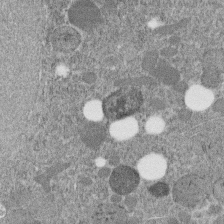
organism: C. elegans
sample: C. elegans embryo early stage